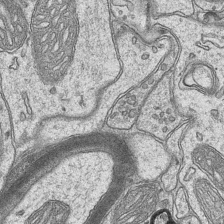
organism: Mouse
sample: CA1 Hippocampus